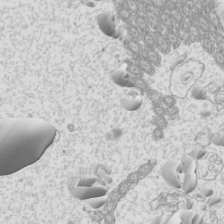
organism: Mouse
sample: Cilia; mouse epididymis